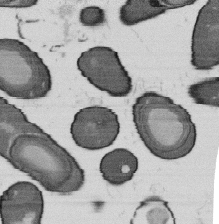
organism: B. subtilis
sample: Bacterial spore